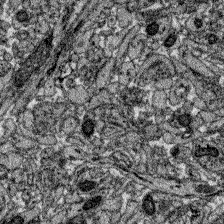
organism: Zebrafish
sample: Larval olfactory bulb